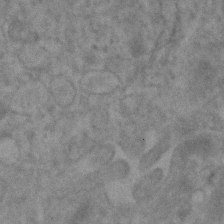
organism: Human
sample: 1205lu cells